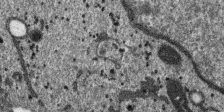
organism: Human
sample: Lung epithelial cells infected with SARS-CoV-2